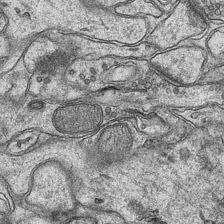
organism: Mouse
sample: CA1 Hippocampus